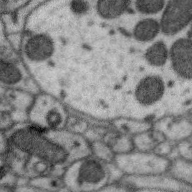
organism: Zebra finch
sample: Brain